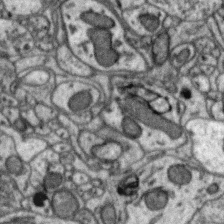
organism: Zebra finch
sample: Brain